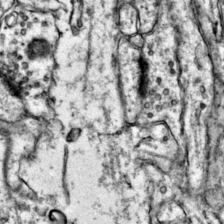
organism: Mouse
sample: Primary visual cortex